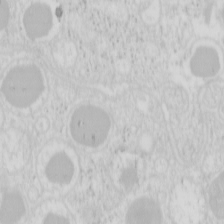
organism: Mouse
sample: Pancreas